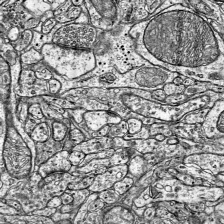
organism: Mouse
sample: Visual Cortex